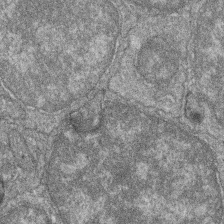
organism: Zebrafish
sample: Cilia; retinal pigment epithelium